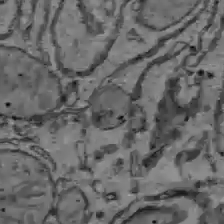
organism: C57BL Mouse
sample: Liver